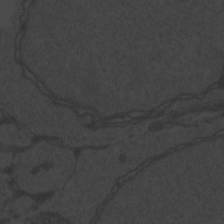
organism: Zebrafish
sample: Macrophage infected with Toxoplasma gondii